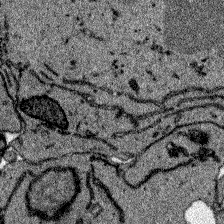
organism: Zebrafish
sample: Larval olfactory bulb